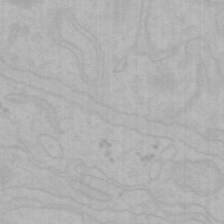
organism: Mouse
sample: Choroid plexus